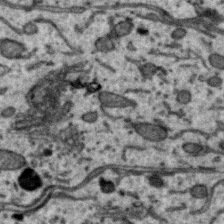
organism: Zebra finch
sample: Brain